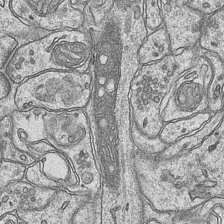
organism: Mouse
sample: CA1 Hippocampus